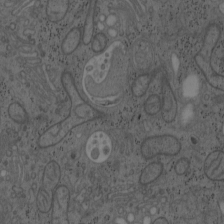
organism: Mouse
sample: OT-I killer T cells with ID8 ovarian cancer cells